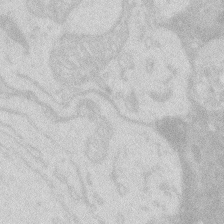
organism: Zebrafish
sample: Macrophage